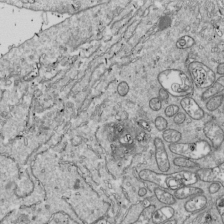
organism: Drosophila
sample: Cell division; meiosis; drosophila spermatocytes